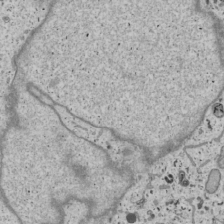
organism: Human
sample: Mitochondria in U2OS cells